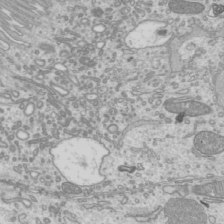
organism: Mouse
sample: Cilia; mouse epididymis